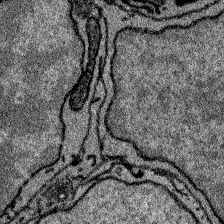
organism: Zebrafish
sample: Larval olfactory bulb